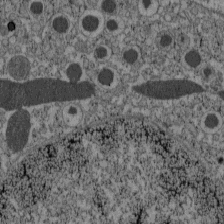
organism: C57BL Mouse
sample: Pancreatic islet